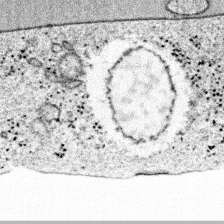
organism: Human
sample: HeLa cells